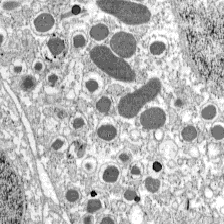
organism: C57BL Mouse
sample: Pancreatic islet